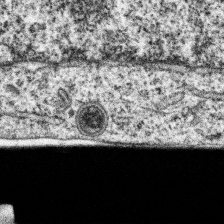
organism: Human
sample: HeLa cells